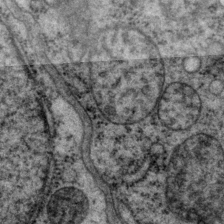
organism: P. pacificus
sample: Pharynx